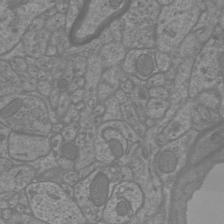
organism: Mouse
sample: Cortical neurons